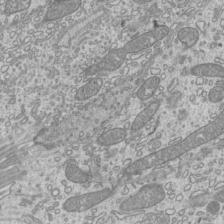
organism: Mouse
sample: Cilia; mouse epididymis